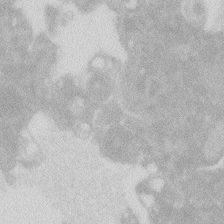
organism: Zebrafish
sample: Macrophage